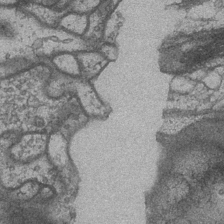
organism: Drosophila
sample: Optic medulla